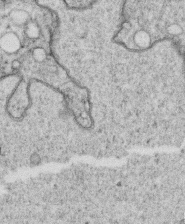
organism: C. elegans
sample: C. elegans oocyte; sperm cells